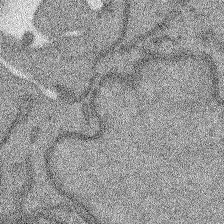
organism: Human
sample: HeLa cells